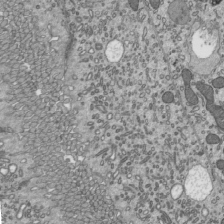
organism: Mouse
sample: Mouse epididymis efferent ductule cilia